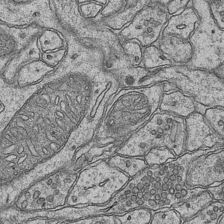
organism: Mouse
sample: CA1 Hippocampus